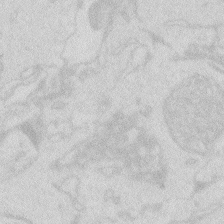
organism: Zebrafish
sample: Macrophage